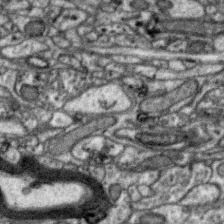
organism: Zebra finch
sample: Brain